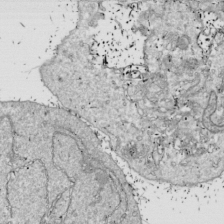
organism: Drosophila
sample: Cell division; meiosis; drosophila spermatocytes